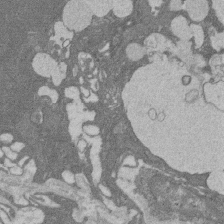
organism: Rat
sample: Salivary granule